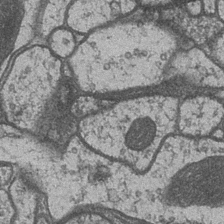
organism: Drosophila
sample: Optic medulla